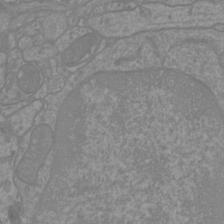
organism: Mouse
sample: Cortical neurons